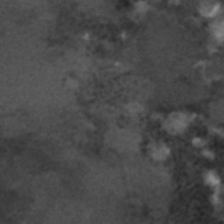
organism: C. elegans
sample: C. elegans embryo